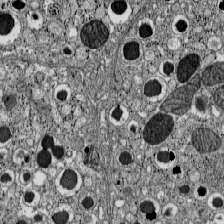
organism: C57BL Mouse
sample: Pancreatic islet